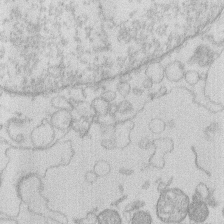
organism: Human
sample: Macrophage cells